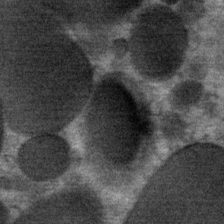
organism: Mouse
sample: Mouse Salivary gland